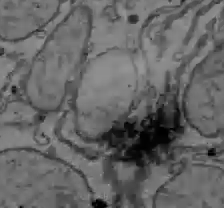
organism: C57BL Mouse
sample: Liver